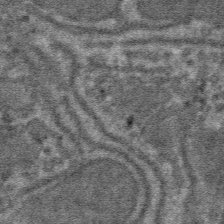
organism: Mouse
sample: Mouse hepatocytes